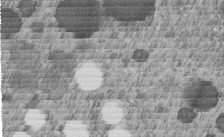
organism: C. elegans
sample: C. elegans embryo early stage